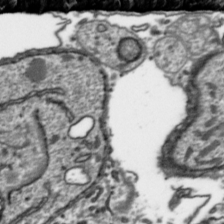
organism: Toxoplasma gondii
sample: Parasites in a vacuole inside a host cell